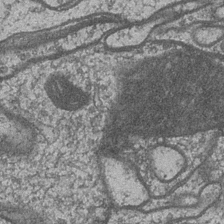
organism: Drosophila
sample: Optic medulla